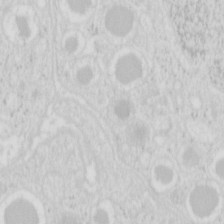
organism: Mouse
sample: Pancreas